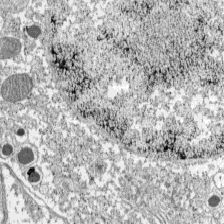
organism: C57BL Mouse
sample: Pancreatic islet